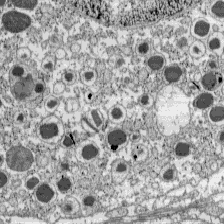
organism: C57BL Mouse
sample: Pancreatic islet